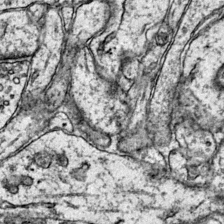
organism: Mouse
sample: Primary visual cortex